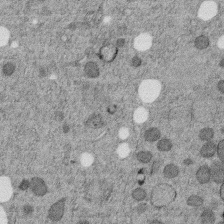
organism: C. elegans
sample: C. elegans embryo early stage